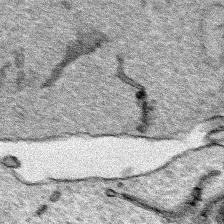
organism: Human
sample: Mitochondria in HCT116 cells